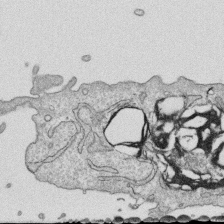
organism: Human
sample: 1205lu cells